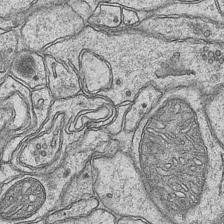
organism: Mouse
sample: CA1 Hippocampus